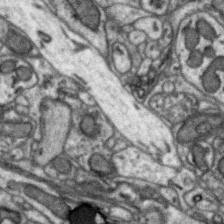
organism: Zebra finch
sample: Brain